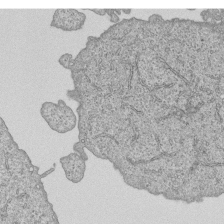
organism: Human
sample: MDA-MB-231 cells